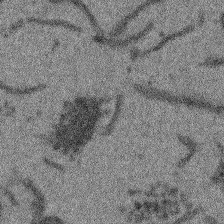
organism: Arabidopsis thaliana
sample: Root tip